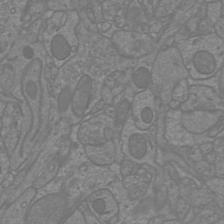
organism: Mouse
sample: Cortical neurons